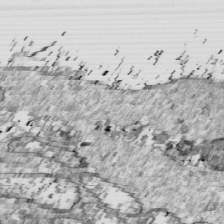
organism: Drosophila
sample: Cell division; meiosis; drosophila spermatocytes